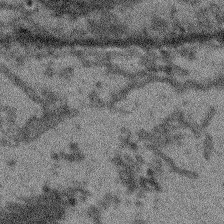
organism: Arabidopsis thaliana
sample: Root tip